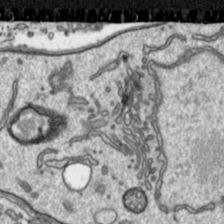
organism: Toxoplasma gondii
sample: Parasites in a vacuole inside a host cell